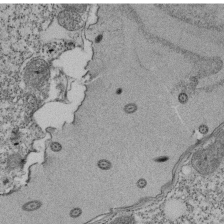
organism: Tetrahymena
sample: Cilia in tetrahymena